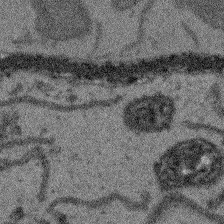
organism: Arabidopsis thaliana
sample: Root tip